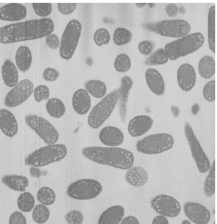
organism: E. coli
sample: Bacterial nucleoid